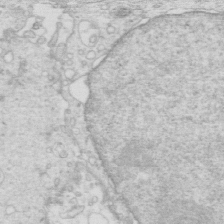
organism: Mouse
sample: Multiciliated cells